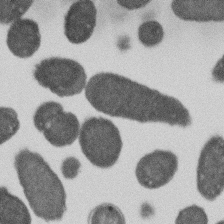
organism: E. coli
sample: Bacterial nucleoid